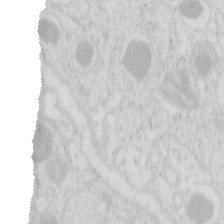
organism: Mouse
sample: Pancreas